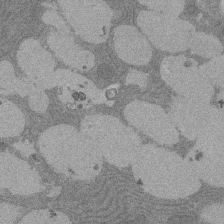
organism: Rat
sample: Salivary granule